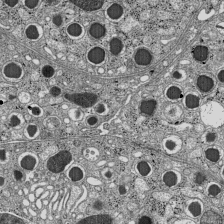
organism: C57BL Mouse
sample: Pancreatic islet